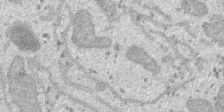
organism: Human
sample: Lung epithelial cells infected with SARS-CoV-2